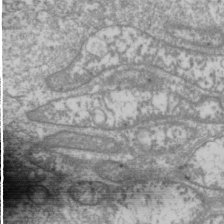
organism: Drosophila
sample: Cell division; meiosis; drosophila spermatocytes